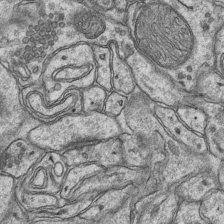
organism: Mouse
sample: CA1 Hippocampus